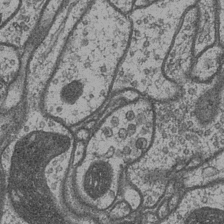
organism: Drosophila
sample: Optic medulla